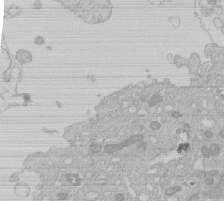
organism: Human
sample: Macrophage cells